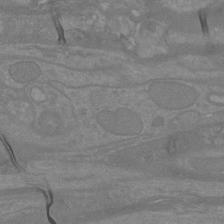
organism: Mouse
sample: Cortical neurons